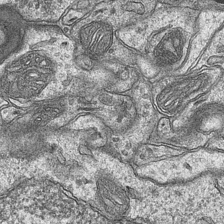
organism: Mouse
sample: CA1 Hippocampus